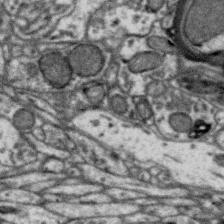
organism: Zebra finch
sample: Brain